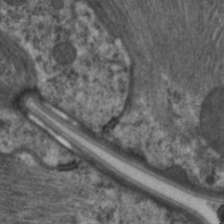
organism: C. elegans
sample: Pharynx